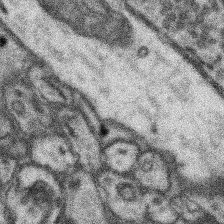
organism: Mouse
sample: Somatosensory cortex neuropil